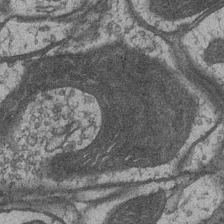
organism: Drosophila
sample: Optic medulla